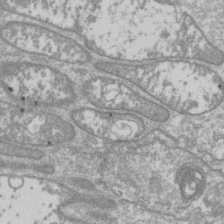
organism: Drosophila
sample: Cell division; meiosis; drosophila spermatocytes